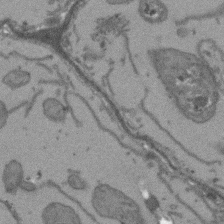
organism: Arabidopsis thaliana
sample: Root tip